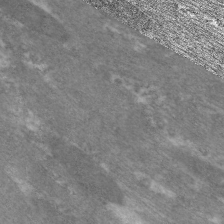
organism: C. elegans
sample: Pharynx